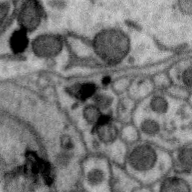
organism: Zebra finch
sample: Brain